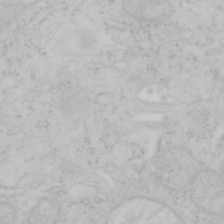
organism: Mouse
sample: OT-I killer T cells with ID8 ovarian cancer cells